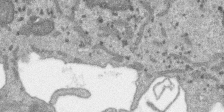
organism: Human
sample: Lung epithelial cells infected with SARS-CoV-2